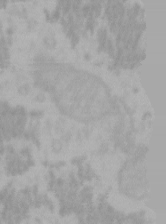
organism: Mouse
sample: Choroid plexus